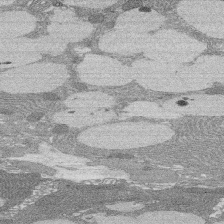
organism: Rat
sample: Salivary granule